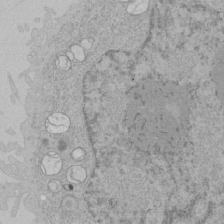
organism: Human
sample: Mitochondria in HCT116 cells